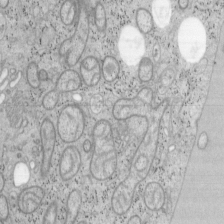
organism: Mouse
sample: OT-I killer T cells with ID8 ovarian cancer cells